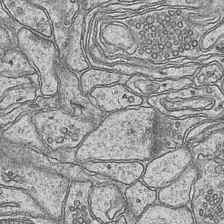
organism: Mouse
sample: CA1 Hippocampus